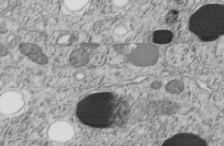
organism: C. elegans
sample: C. elegans embryo early stage